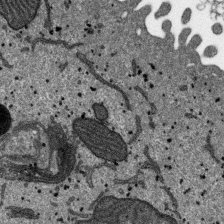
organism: Human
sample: Lung epithelial cells, uninfected (mock) control